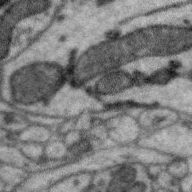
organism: Zebra finch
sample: Brain